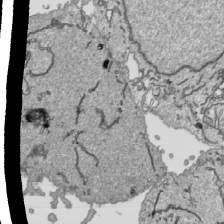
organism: Human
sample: Mitochondria in HCT116 cells